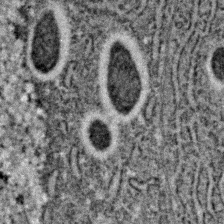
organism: C. elegans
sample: C. elegans embryo